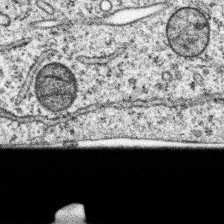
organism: Human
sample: HeLa cells